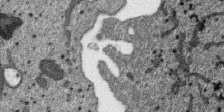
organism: Human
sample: Lung epithelial cells infected with SARS-CoV-2